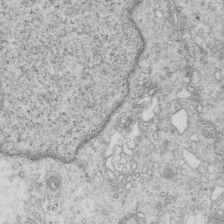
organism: Mouse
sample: Multiciliated cells